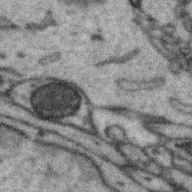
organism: Zebra finch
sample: Brain